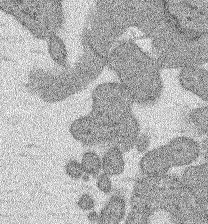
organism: Human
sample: HeLa cells